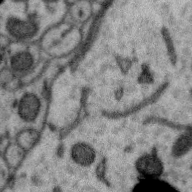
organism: Zebra finch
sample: Brain